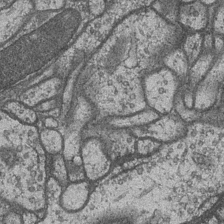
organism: Drosophila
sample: Optic medulla